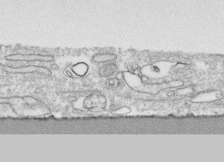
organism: Human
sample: CRL-1474